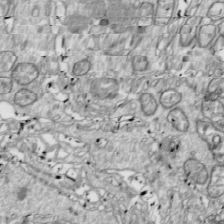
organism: Drosophila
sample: Cell division; meiosis; drosophila spermatocytes